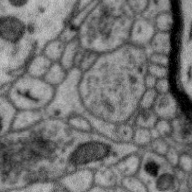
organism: Zebra finch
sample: Brain